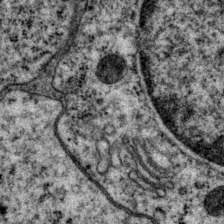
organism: P. pacificus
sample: Pharynx